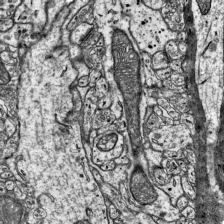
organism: Mouse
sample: Visual Cortex